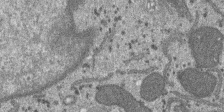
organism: Human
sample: Lung epithelial cells infected with SARS-CoV-2